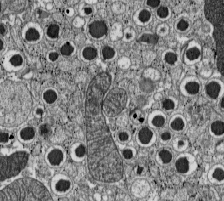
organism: C57BL Mouse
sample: Pancreatic islet